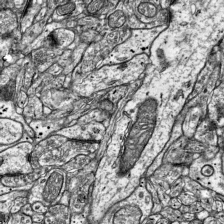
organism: Mouse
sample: Visual Cortex